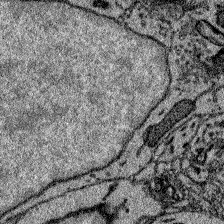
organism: Zebrafish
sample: Larval olfactory bulb